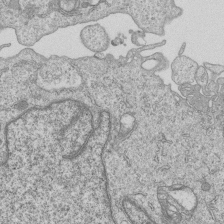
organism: Human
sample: MDA-MB-231 cells